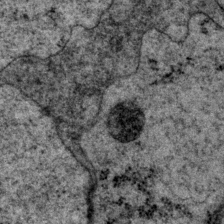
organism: P. pacificus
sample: Pharynx